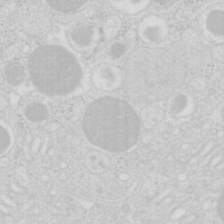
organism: Mouse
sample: Pancreas